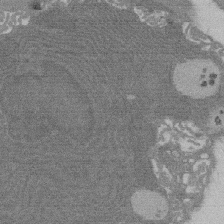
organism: Rat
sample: Salivary granule